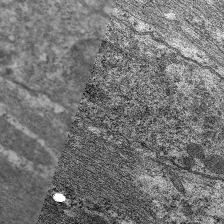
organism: C. elegans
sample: Pharynx